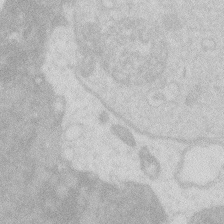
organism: Zebrafish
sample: Macrophage